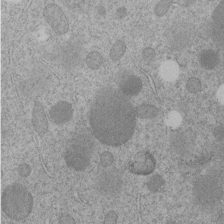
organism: C. elegans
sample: C. elegans embryo early stage